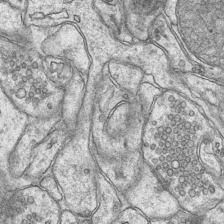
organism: Mouse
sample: CA1 Hippocampus